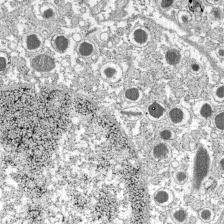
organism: C57BL Mouse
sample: Pancreatic islet